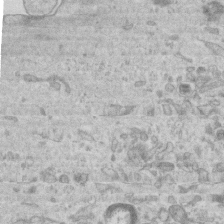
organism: Mouse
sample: Centriole in ependymal cells